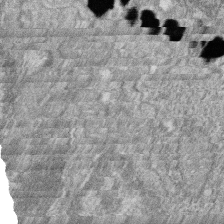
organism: Zebrafish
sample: Cilia; retinal pigment epithelium